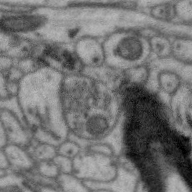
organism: Zebra finch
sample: Brain